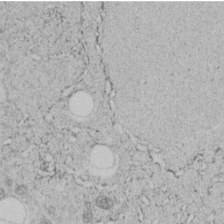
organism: C. elegans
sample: C. elegans embryo early stage